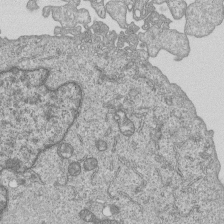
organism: Human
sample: MDA-MB-231 cells